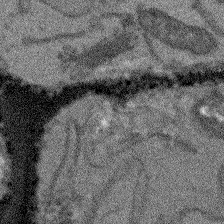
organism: Arabidopsis thaliana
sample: Root tip